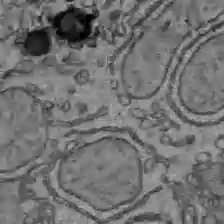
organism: C57BL Mouse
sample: Liver